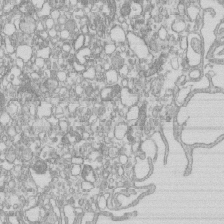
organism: Mouse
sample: Macrophages